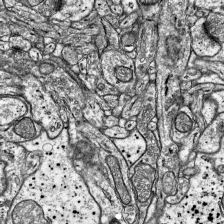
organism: Mouse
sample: Visual Cortex